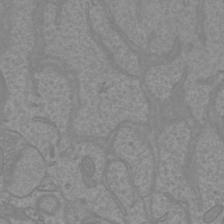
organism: Mouse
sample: Cortical neurons